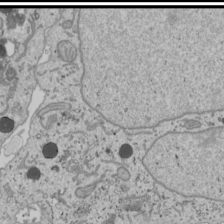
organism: Human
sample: Mitochondria in U2OS cells